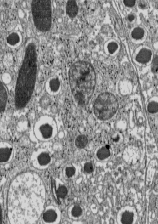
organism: C57BL Mouse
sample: Pancreatic islet